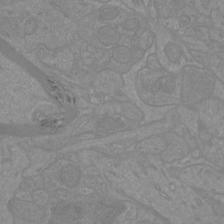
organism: Mouse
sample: Cortical neurons